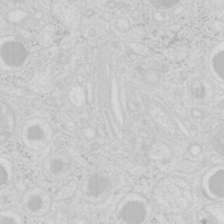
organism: Mouse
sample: Pancreas